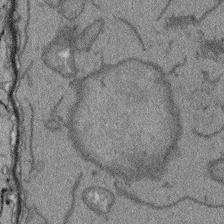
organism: Arabidopsis thaliana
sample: Root tip